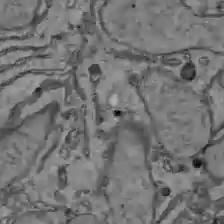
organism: C57BL Mouse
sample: Liver